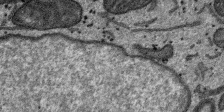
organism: Human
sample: Lung epithelial cells, uninfected (mock) control